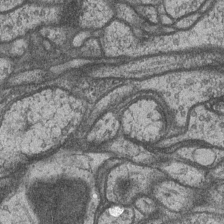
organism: Drosophila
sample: Optic medulla